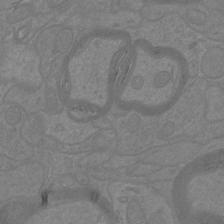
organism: Mouse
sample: Cortical neurons